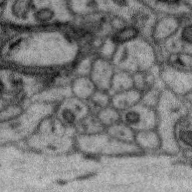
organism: Zebra finch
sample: Brain